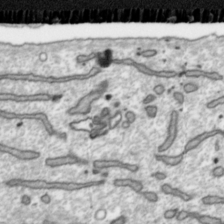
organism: Toxoplasma gondii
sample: Parasites in a vacuole inside a host cell